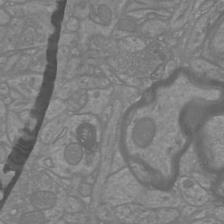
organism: Mouse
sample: Cortical neurons